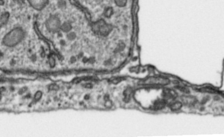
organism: Toxoplasma gondii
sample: Parasites in a vacuole inside a host cell